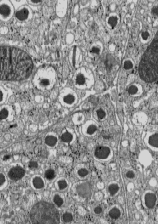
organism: C57BL Mouse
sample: Pancreatic islet